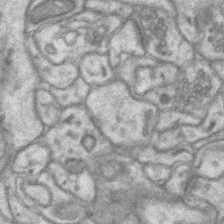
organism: Mouse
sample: CA1 Hippocampus